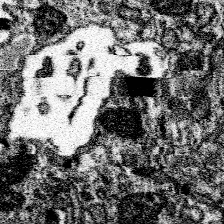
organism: Spongilla lacustris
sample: Neuroid cell